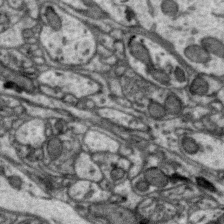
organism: Zebra finch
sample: Brain